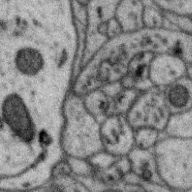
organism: Zebra finch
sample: Brain